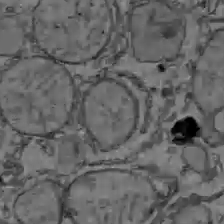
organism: C57BL Mouse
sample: Liver